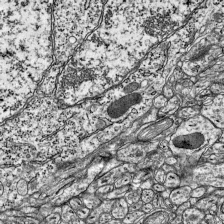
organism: Mouse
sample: Visual Cortex